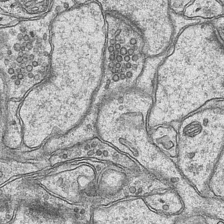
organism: Mouse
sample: CA1 Hippocampus